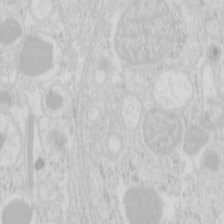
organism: Mouse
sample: Pancreas